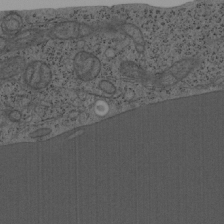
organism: Human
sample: HeLa cells